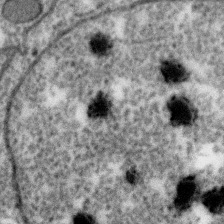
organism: Zebra finch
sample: Brain